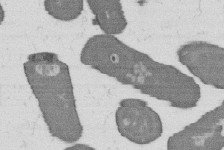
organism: B. subtilis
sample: Bacterial spore